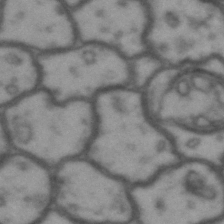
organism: Drosophila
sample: Brain